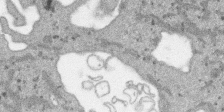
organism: Human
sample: Lung epithelial cells infected with SARS-CoV-2